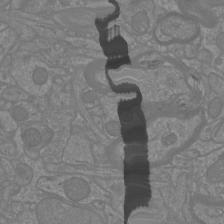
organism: Mouse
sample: Cortical neurons